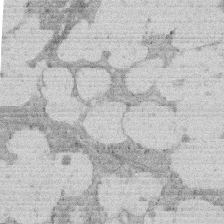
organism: Rat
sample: Salivary granule